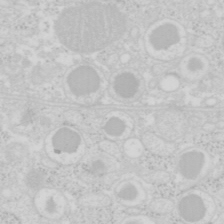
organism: Mouse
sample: Pancreas